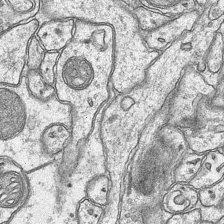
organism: Mouse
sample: CA1 Hippocampus